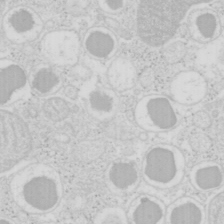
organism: Mouse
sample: Pancreas